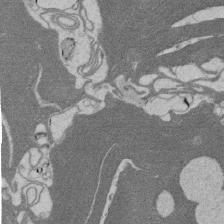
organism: Rat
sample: Salivary granule